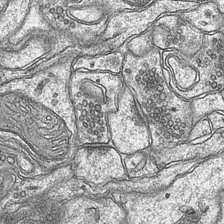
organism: Mouse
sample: CA1 Hippocampus